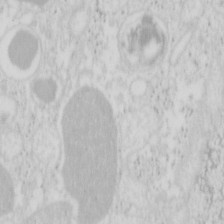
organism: Mouse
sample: Pancreas